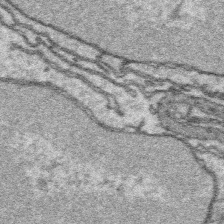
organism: Platynereis dumerilii